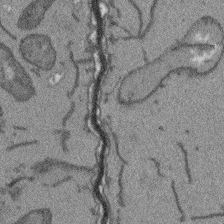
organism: Arabidopsis thaliana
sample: Root tip